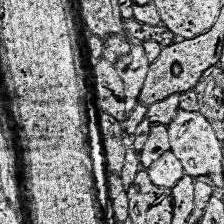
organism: Human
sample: Temporal Lobe